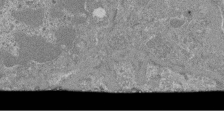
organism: Mouse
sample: Glomerulus